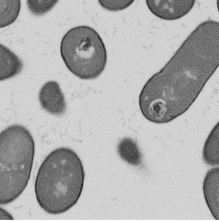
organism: B. subtilis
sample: Bacterial spore